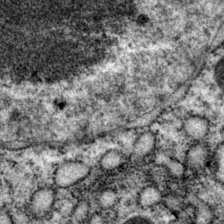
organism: P. pacificus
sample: Pharynx